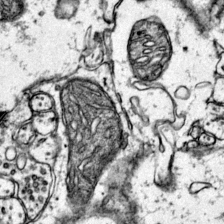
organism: Mouse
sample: Primary visual cortex